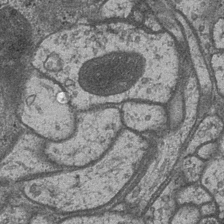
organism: Drosophila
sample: Optic medulla